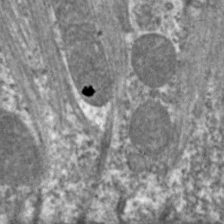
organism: C. elegans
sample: Pharynx